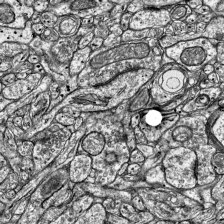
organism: Mouse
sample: Visual Cortex